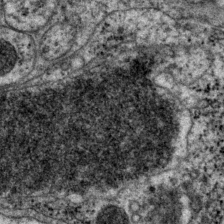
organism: P. pacificus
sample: Pharynx